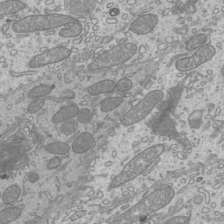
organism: Mouse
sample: Cilia; mouse epididymis